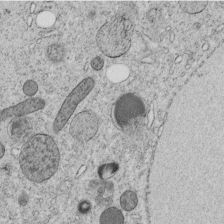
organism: C. elegans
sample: C. elegans embryo early stage